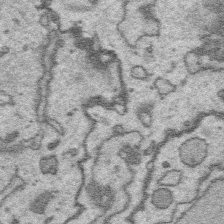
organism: Platynereis dumerilii